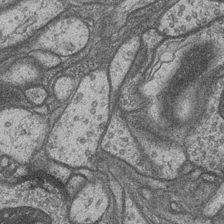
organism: Drosophila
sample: Optic medulla